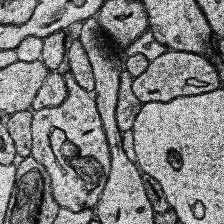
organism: Human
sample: Temporal Lobe